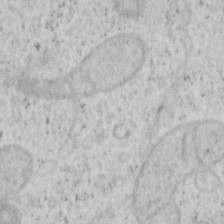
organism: Human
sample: HeLa cells